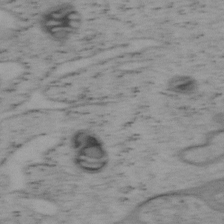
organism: Mouse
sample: OT-I killer T cells with ID8 ovarian cancer cells